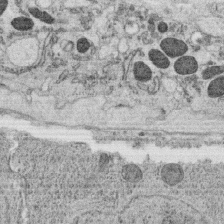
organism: C. elegans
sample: C. elegans oocyte; sperm cells